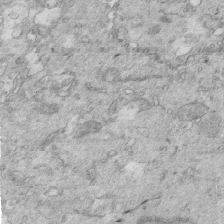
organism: Mouse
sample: Multiciliated cells